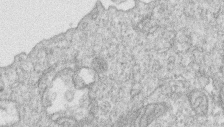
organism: Human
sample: HeLa cell HIV synapse